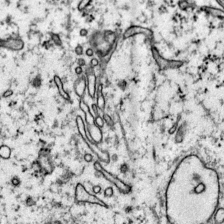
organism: Mouse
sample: Primary visual cortex